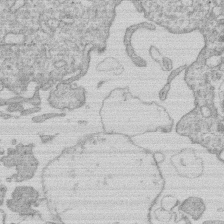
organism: Human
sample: Macrophage cells